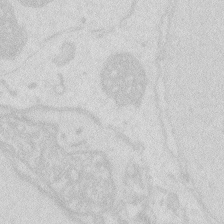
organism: Zebrafish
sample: Macrophage